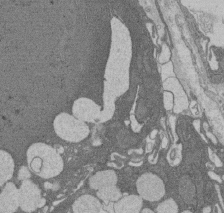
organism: Rat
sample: Salivary granule